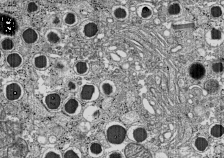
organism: C57BL Mouse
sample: Pancreatic islet